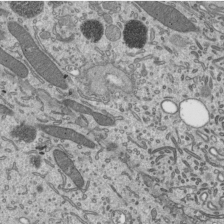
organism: Mouse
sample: Mouse epididymis efferent ductule cilia